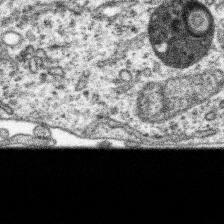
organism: Human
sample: HeLa cells